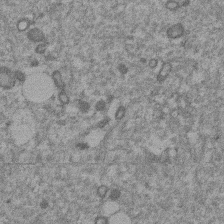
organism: Mouse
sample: Dividing mouse embryo 1 cell stage